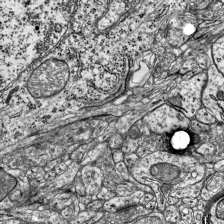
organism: Mouse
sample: Visual Cortex